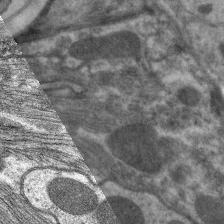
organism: C. elegans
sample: Pharynx